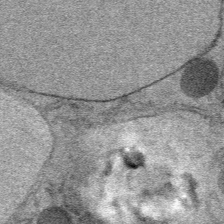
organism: Mouse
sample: Mouse Salivary gland